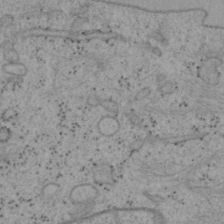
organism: Human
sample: HeLa cells